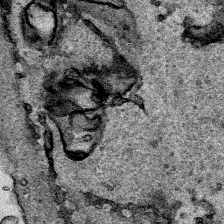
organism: Human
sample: Mitochondria in HCT116 cells